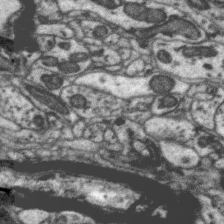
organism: Zebra finch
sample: Brain